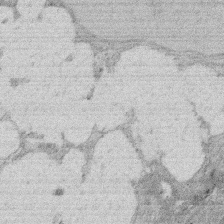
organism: Rat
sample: Salivary granule